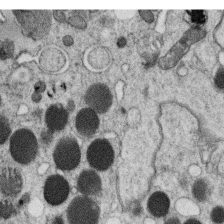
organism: C. elegans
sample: C. elegans oocyte; sperm cells